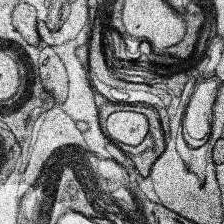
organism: Human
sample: Temporal Lobe